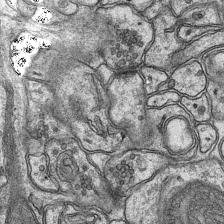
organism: Mouse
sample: CA1 Hippocampus